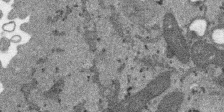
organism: Human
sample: Lung epithelial cells infected with SARS-CoV-2